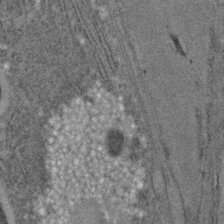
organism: C. elegans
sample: C. elegans embryo